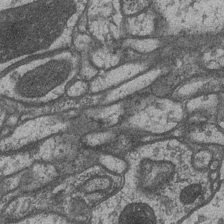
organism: Drosophila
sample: Optic medulla